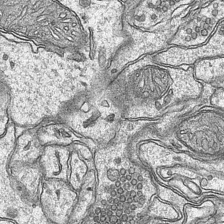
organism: Mouse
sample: CA1 Hippocampus